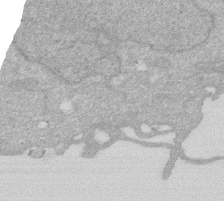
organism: Human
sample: HIV infected U937 cells